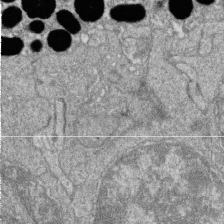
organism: Zebrafish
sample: Cilia; retinal pigment epithelium